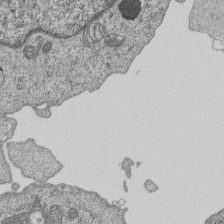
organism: Human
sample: MDA-MB-231 cells